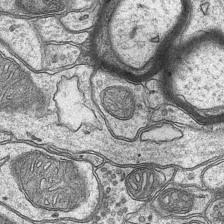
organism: Mouse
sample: CA1 Hippocampus